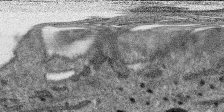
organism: Human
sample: Lung epithelial cells infected with SARS-CoV-2